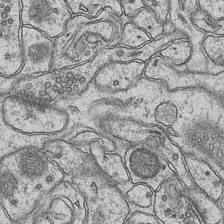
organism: Mouse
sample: CA1 Hippocampus